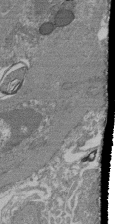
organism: Mouse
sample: Glomerulus